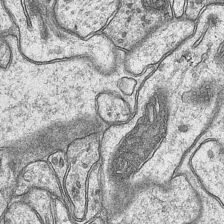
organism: Mouse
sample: CA1 Hippocampus